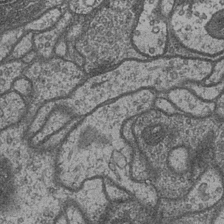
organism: Drosophila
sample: Optic medulla